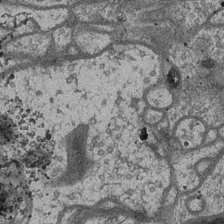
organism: Drosophila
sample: Optic medulla